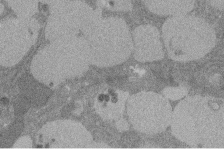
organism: Rat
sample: Salivary granule